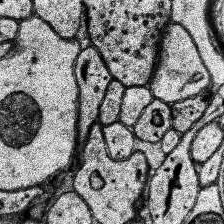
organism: Human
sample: Temporal Lobe